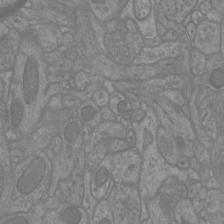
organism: Mouse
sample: Cortical neurons